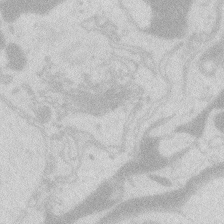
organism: Zebrafish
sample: Macrophage